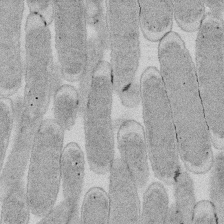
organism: E. coli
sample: Bacterial nucleoid